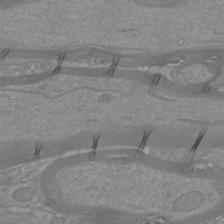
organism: Mouse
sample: Cortical neurons